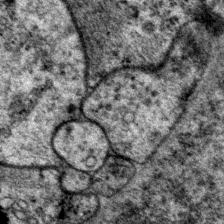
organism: P. pacificus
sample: Pharynx